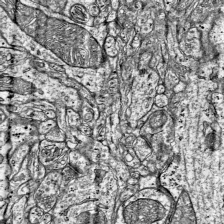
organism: Mouse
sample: Visual Cortex